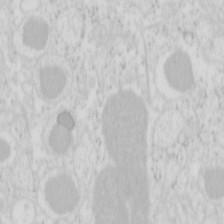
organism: Mouse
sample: Pancreas